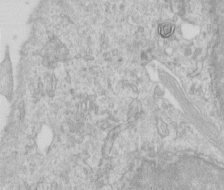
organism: Human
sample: Centriole in RPE cells